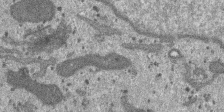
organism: Human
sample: Lung epithelial cells infected with SARS-CoV-2